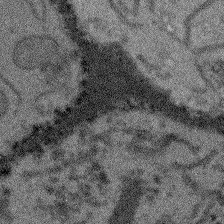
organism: Arabidopsis thaliana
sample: Root tip